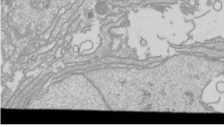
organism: Drosophila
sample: Cell division; meiosis; drosophila spermatocytes